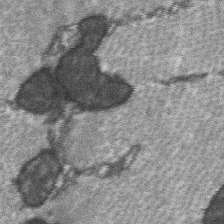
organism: C57BL Mouse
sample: Soleus